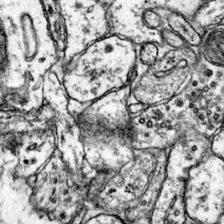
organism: Mouse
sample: Primary visual cortex